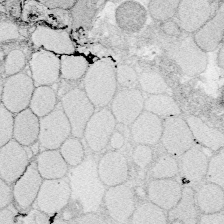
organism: Zebrafish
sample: Whole-Brain